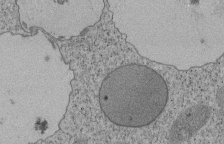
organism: Tetrahymena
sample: Cilia in tetrahymena